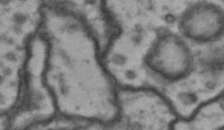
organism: Drosophila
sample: Brain